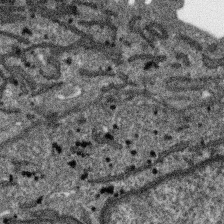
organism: Human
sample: Lung epithelial cells infected with SARS-CoV-2